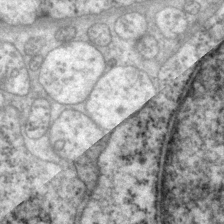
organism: P. pacificus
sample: Pharynx